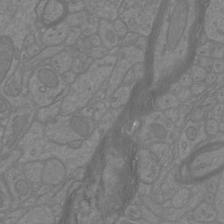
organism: Mouse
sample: Cortical neurons